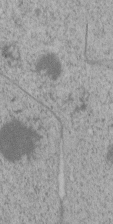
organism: C. elegans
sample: C. elegans embryo early stage